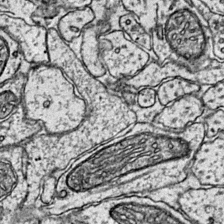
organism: Mouse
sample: Primary visual cortex